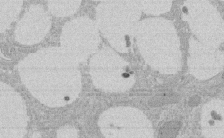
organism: Rat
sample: Salivary granule